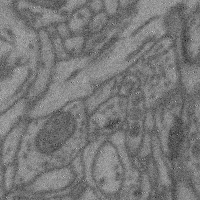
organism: Mouse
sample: Cerebral cortex